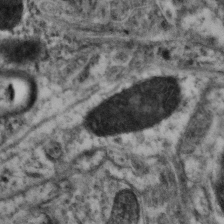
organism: Mouse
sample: Neocortex